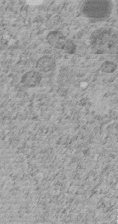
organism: C. elegans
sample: C. elegans embryo early stage